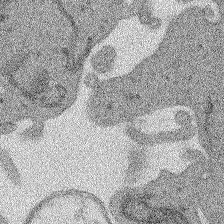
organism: Human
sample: HeLa cells